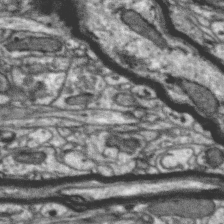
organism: Zebra finch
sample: Brain